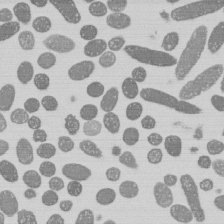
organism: E. coli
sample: Bacterial nucleoid